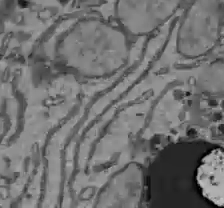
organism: C57BL Mouse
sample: Liver